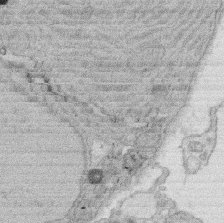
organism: Rat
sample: Salivary granule